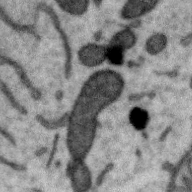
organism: Zebra finch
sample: Brain